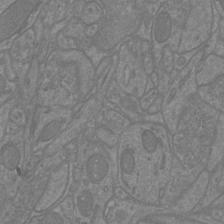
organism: Mouse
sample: Cortical neurons